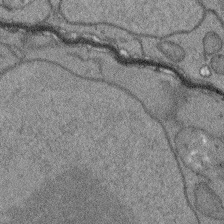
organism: Arabidopsis thaliana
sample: Root tip